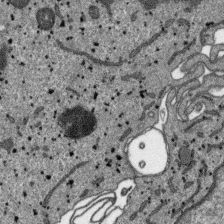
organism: Human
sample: Lung epithelial cells, uninfected (mock) control